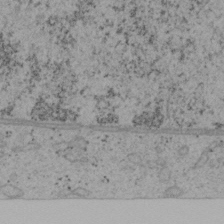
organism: Human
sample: HeLa cells